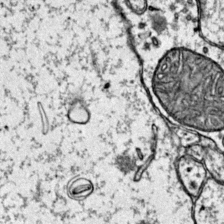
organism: Mouse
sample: Primary visual cortex